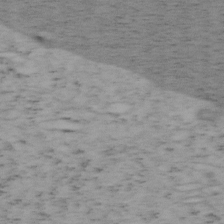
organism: Mouse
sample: OT-I killer T cells with ID8 ovarian cancer cells